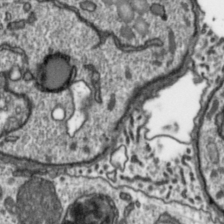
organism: Toxoplasma gondii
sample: Parasites in a vacuole inside a host cell